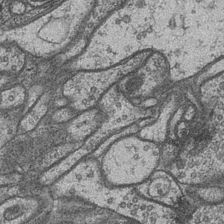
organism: Drosophila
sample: Optic medulla